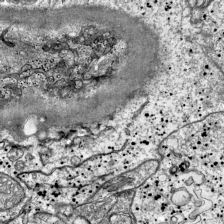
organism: Mouse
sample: Visual Cortex